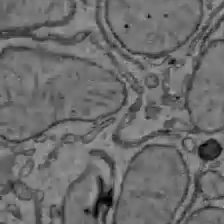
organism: C57BL Mouse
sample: Liver